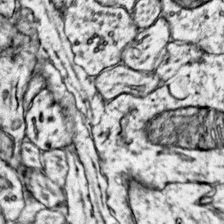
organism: Mouse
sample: Primary visual cortex